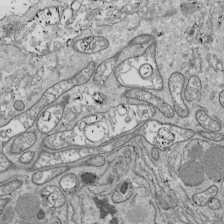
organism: Drosophila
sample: Cell division; meiosis; drosophila spermatocytes